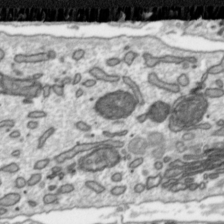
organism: Toxoplasma gondii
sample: Parasites in a vacuole inside a host cell